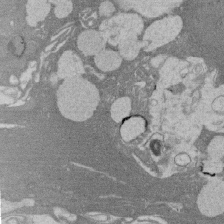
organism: Rat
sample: Salivary granule